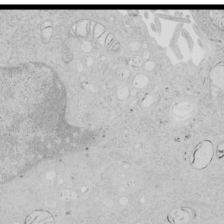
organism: Human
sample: Mitochondria in HCT116 cells